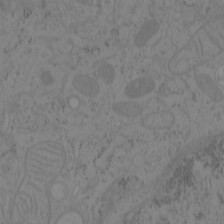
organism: Human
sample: HeLa cells